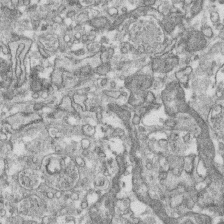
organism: Human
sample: CRL-1474